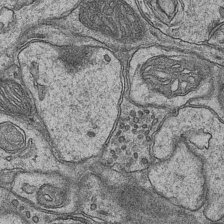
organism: Mouse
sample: CA1 Hippocampus